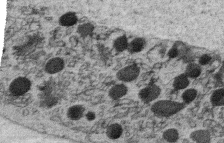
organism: C. elegans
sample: C. elegans oocyte; sperm cells